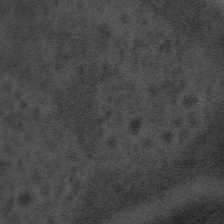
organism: Tuwongella immobilis